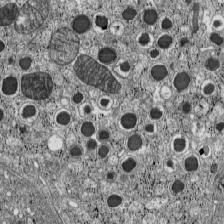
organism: C57BL Mouse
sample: Pancreatic islet